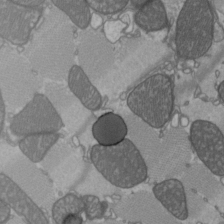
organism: C57BL Mouse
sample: Heart